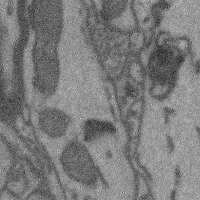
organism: Mouse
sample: Cerebral cortex